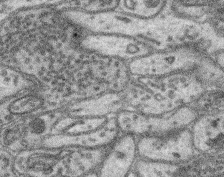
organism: Mouse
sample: Retina